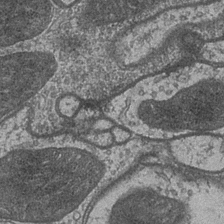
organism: Drosophila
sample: Optic medulla